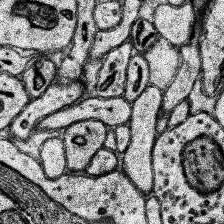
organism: Human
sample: Temporal Lobe